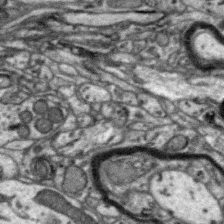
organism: Zebra finch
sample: Brain